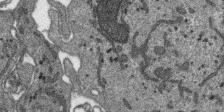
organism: Human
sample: Lung epithelial cells infected with SARS-CoV-2